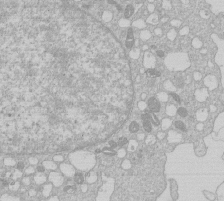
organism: Human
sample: Macrophage cells